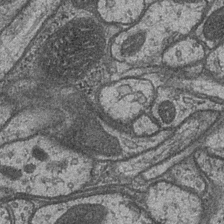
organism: Drosophila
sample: Optic medulla